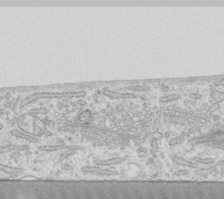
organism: Human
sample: Fibroblast cells